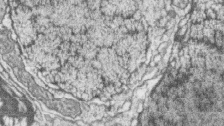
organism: Zebrafish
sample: synaptic ribbons in rod cells and cone cells